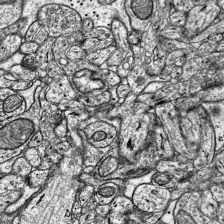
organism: Mouse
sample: Visual Cortex